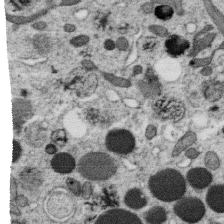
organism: C. elegans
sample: C. elegans oocyte; sperm cells